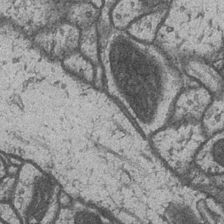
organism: Drosophila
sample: Optic medulla